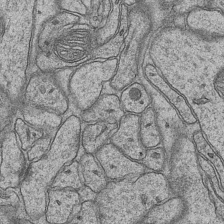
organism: Mouse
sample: CA1 Hippocampus